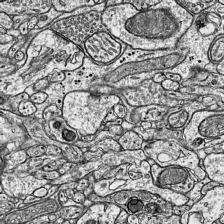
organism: Mouse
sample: Visual Cortex